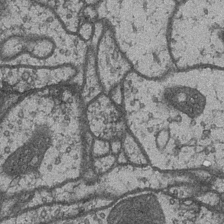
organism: Drosophila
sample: Optic medulla